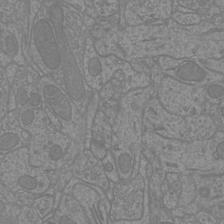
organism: Mouse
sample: Cortical neurons